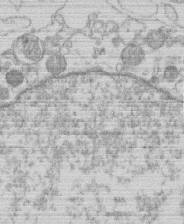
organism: Human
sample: Macrophage cells